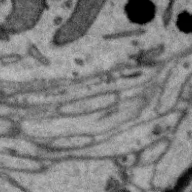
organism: Zebra finch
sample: Brain